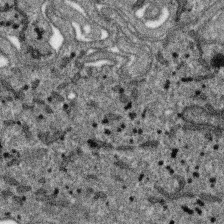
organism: Human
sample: Lung epithelial cells infected with SARS-CoV-2